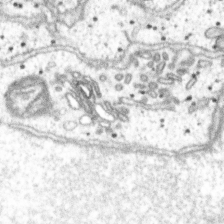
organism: Human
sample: HeLa cells